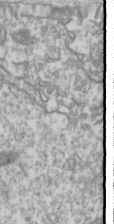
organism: Drosophila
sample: Cell division; meiosis; drosophila spermatocytes